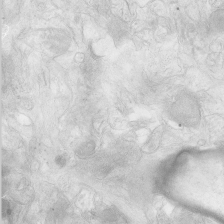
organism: Human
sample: Neocortex